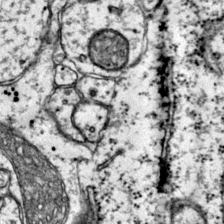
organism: Mouse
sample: Primary visual cortex